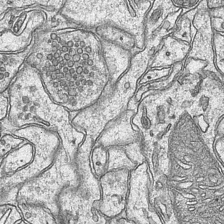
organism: Mouse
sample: CA1 Hippocampus